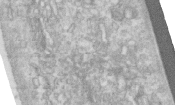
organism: Human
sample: Centriole in RPE cells